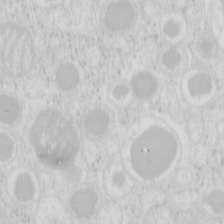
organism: Mouse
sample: Pancreas